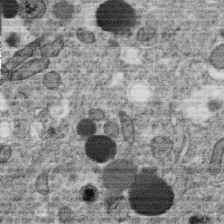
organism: C. elegans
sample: C. elegans oocyte; sperm cells